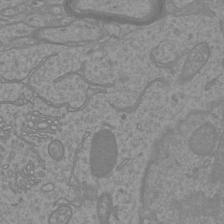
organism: Mouse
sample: Cortical neurons